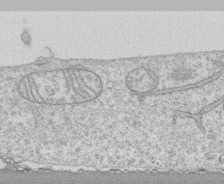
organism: Human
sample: CRL-1474